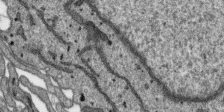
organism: Human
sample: Lung epithelial cells, uninfected (mock) control